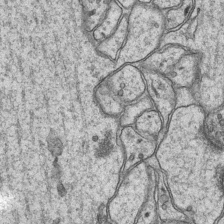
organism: Mouse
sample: CA1 Hippocampus